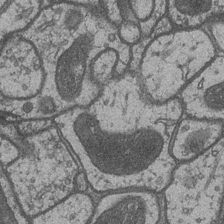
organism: Drosophila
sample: Optic medulla